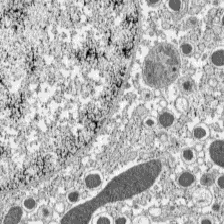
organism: C57BL Mouse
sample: Pancreatic islet